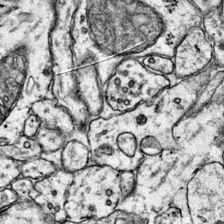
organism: Mouse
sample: Primary visual cortex